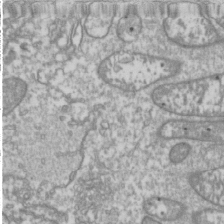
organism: Drosophila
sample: Cell division; meiosis; drosophila spermatocytes